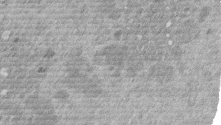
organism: Mouse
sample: Dividing mouse embryo 1 cell stage